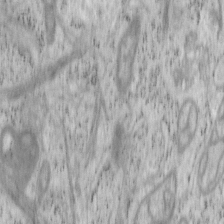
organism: Human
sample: HeLa cells